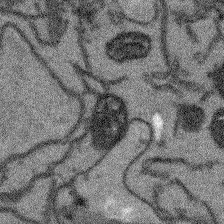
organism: Arabidopsis thaliana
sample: Root tip